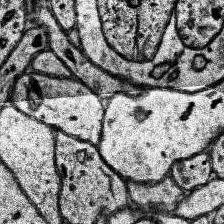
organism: Human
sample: Temporal Lobe